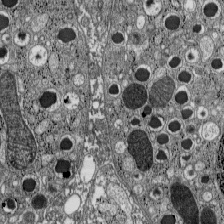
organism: C57BL Mouse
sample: Pancreatic islet